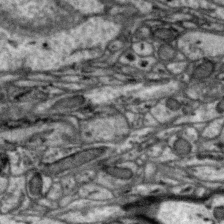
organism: Zebra finch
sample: Brain